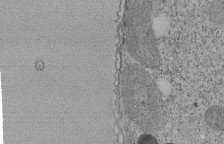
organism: Tetrahymena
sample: Cilia in tetrahymena